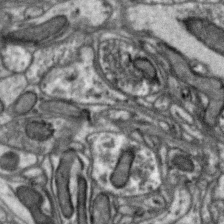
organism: Zebra finch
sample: Brain